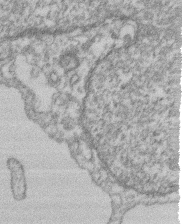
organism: Mouse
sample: T cell stromal cell synapse